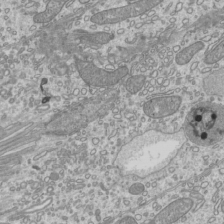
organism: Mouse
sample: Cilia; mouse epididymis